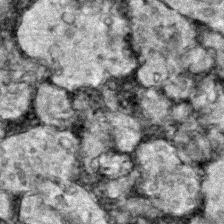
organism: Zebrafish